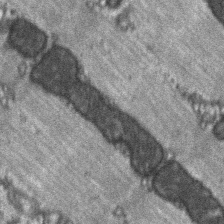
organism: C57BL Mouse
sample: Soleus